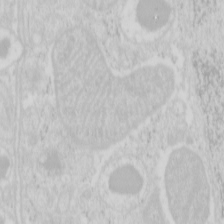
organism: Mouse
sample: Pancreas